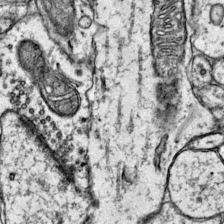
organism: Mouse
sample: Primary visual cortex